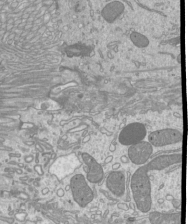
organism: Mouse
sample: Cilia; mouse epididymis